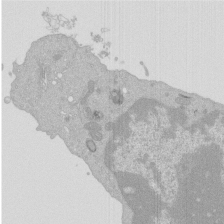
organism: Mouse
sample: Activated Pmel transgenic CD8+ T Cells